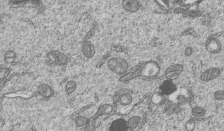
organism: Human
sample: MDA-MB-231 cells